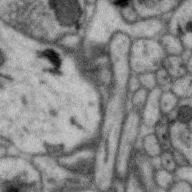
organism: Zebra finch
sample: Brain